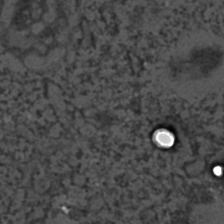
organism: C. elegans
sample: C. elegans embryo